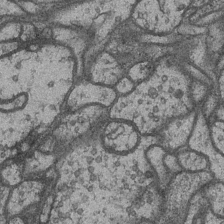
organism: Drosophila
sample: Optic medulla